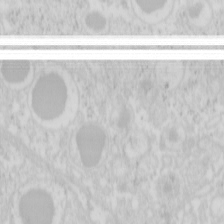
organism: Mouse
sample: Pancreas